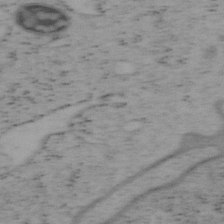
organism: Mouse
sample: OT-I killer T cells with ID8 ovarian cancer cells